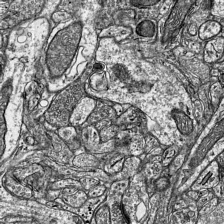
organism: Mouse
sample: Visual Cortex